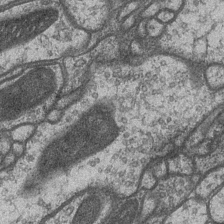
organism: Drosophila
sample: Optic medulla